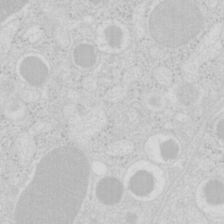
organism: Mouse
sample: Pancreas